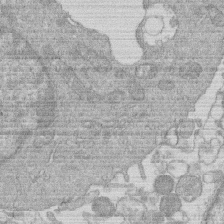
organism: Human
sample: Macrophage cells